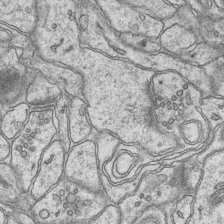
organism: Mouse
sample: CA1 Hippocampus